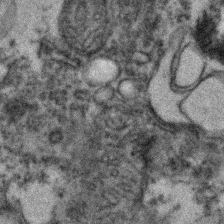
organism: Zebrafish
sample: Zebrafish embryo